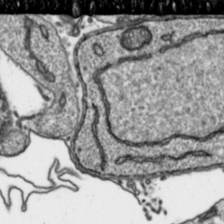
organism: Toxoplasma gondii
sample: Parasites in a vacuole inside a host cell